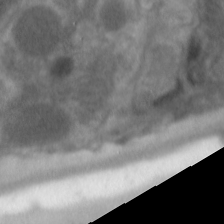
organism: C. elegans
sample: Pharynx